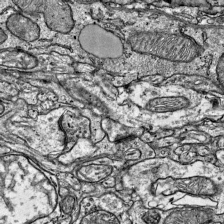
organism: Mouse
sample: Visual Cortex